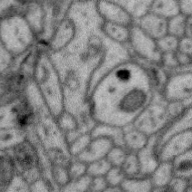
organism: Zebra finch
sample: Brain